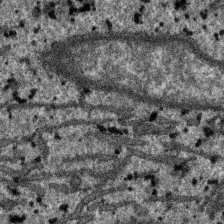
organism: Human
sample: Lung epithelial cells infected with SARS-CoV-2